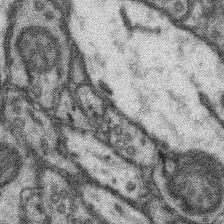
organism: Mouse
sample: Somatosensory cortex neuropil